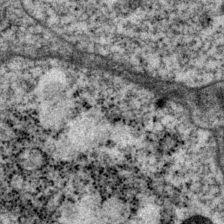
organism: P. pacificus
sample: Pharynx